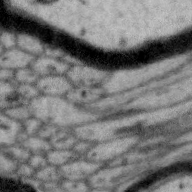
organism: Zebra finch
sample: Brain